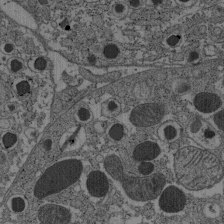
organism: C57BL Mouse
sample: Pancreatic islet